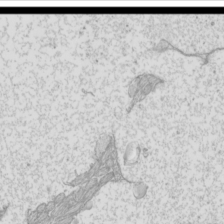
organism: Mouse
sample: Cilia; mouse epididymis